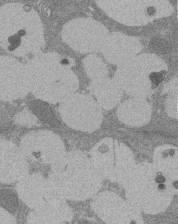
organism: Rat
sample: Salivary granule